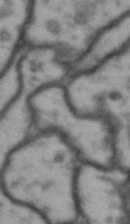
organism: Drosophila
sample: Brain